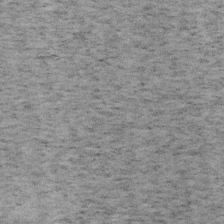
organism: Mouse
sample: OT-I killer T cells with ID8 ovarian cancer cells